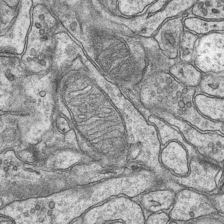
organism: Mouse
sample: CA1 Hippocampus